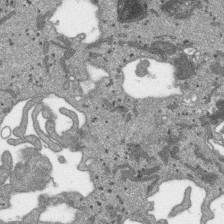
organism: Human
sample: Lung epithelial cells infected with SARS-CoV-2